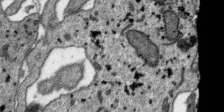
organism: Human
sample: Lung epithelial cells, uninfected (mock) control